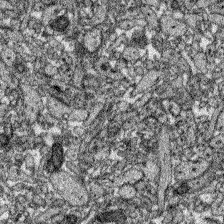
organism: Zebrafish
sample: Larval olfactory bulb